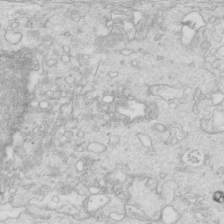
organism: Mouse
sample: Multiciliated cells